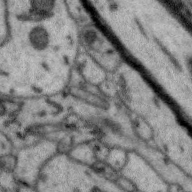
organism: Zebra finch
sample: Brain